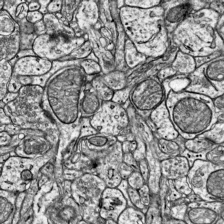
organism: Mouse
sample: Visual Cortex